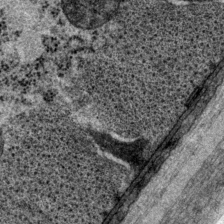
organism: P. pacificus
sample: Pharynx